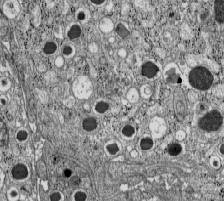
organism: C57BL Mouse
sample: Pancreatic islet